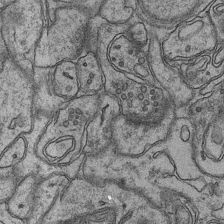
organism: Mouse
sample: CA1 Hippocampus